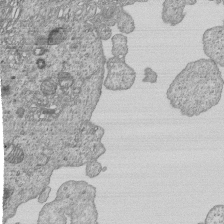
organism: Human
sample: MDA-MB-231 cells